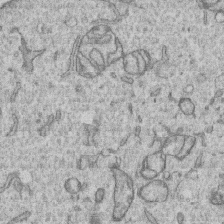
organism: Human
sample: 1205lu cells